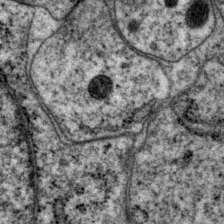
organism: P. pacificus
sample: Pharynx